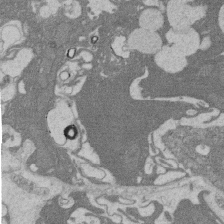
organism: Rat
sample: Salivary granule